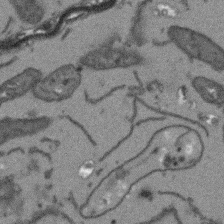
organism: Arabidopsis thaliana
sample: Root tip